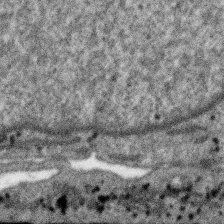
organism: Human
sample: Lung epithelial cells infected with SARS-CoV-2